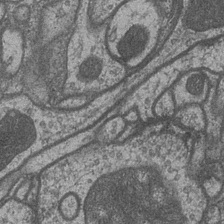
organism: Drosophila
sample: Optic medulla